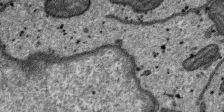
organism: Human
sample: Lung epithelial cells, uninfected (mock) control